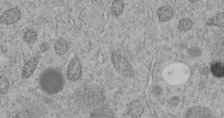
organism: C. elegans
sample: C. elegans embryo early stage